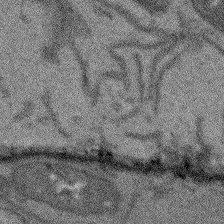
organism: Arabidopsis thaliana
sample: Root tip